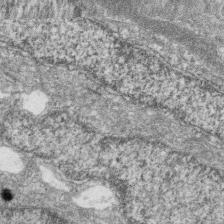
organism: Zebrafish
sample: Cilia; retinal pigment epithelium